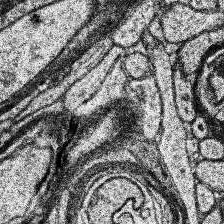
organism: Human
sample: Temporal Lobe